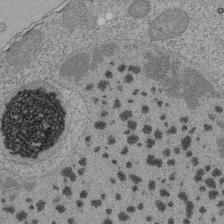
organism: Tetrahymena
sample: Cilia in tetrahymena